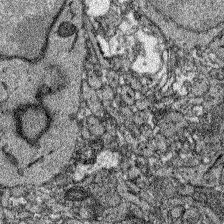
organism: Zebrafish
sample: Larval olfactory bulb